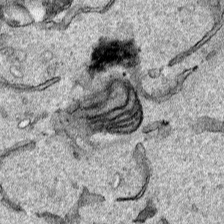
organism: Human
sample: Mitochondria in HCT116 cells